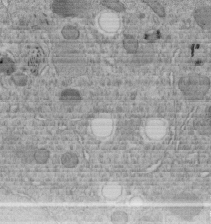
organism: C. elegans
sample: C. elegans embryo early stage